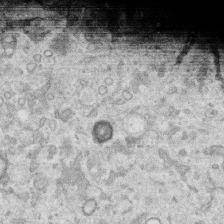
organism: Human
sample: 1205lu cells